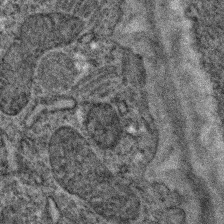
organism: C. elegans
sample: C. elegans embryo